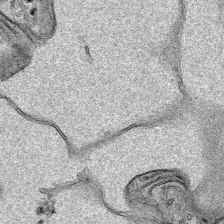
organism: Human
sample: Mitochondria in HCT116 cells